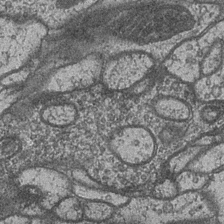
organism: Drosophila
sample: Optic medulla